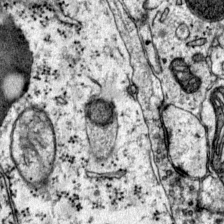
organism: Mouse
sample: Primary visual cortex